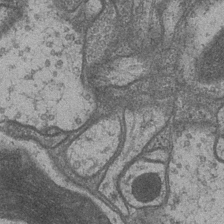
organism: Drosophila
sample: Optic medulla